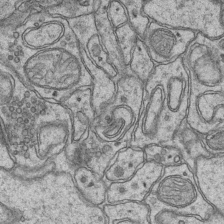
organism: Mouse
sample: CA1 Hippocampus